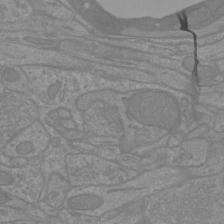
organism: Mouse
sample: Cortical neurons